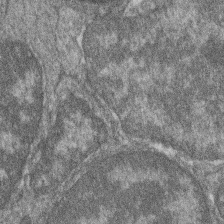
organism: Zebrafish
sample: Cilia; retinal pigment epithelium